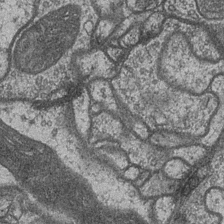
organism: Drosophila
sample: Optic medulla